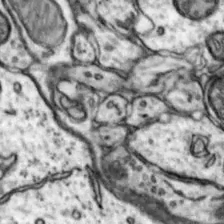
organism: Mouse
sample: Nucleus accumbens